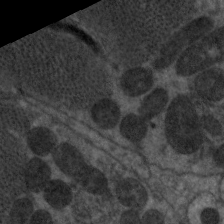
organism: C. elegans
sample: Pharynx